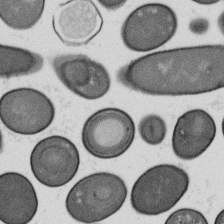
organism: B. subtilis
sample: Bacterial spore